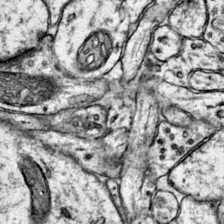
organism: Mouse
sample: Primary visual cortex